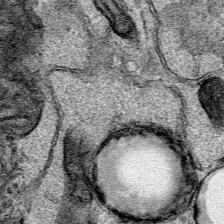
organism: Human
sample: Mitochondria in HCT116 cells